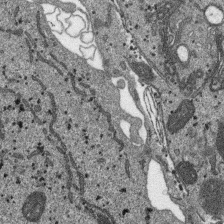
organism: Human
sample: Lung epithelial cells infected with SARS-CoV-2